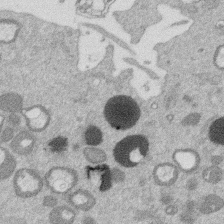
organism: Mouse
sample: Dividing mouse embryo 1 cell stage